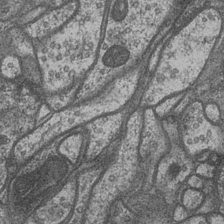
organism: Drosophila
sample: Optic medulla